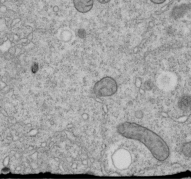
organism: C. elegans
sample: C. elegans embryo early stage